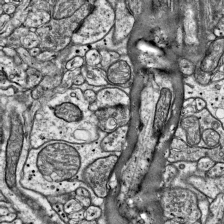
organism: Mouse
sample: Visual Cortex